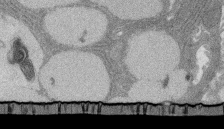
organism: Rat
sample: Salivary granule